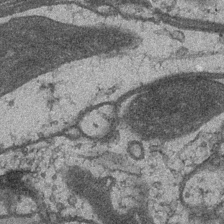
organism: Drosophila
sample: Optic medulla